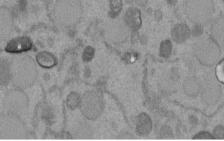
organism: C. elegans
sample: C. elegans embryo early stage